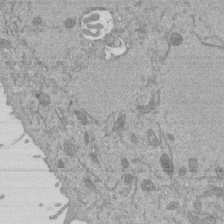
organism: Mouse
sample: ED-1 cell nuclei; centrioles